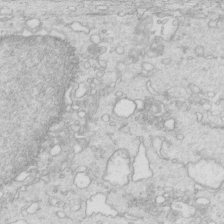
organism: Mouse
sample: Multiciliated cells